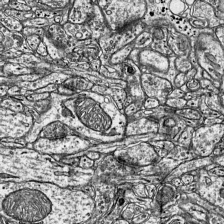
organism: Mouse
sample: Visual Cortex